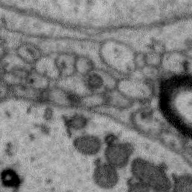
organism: Zebra finch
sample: Brain